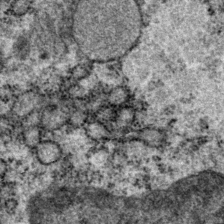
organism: P. pacificus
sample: Pharynx